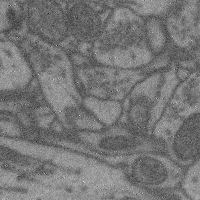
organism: Mouse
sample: Cerebral cortex